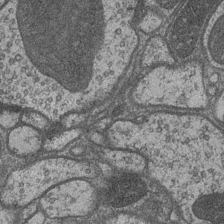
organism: Drosophila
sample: Optic medulla